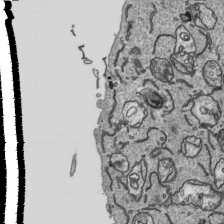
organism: Human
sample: Mitochondria in HCT116 cells